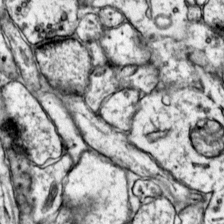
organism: Mouse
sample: Primary visual cortex